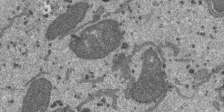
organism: Human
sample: Lung epithelial cells infected with SARS-CoV-2